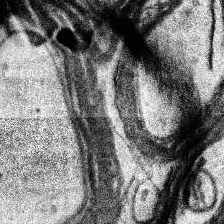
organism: Human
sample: Temporal Lobe